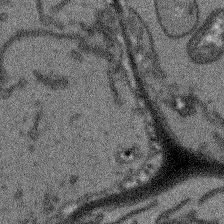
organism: Arabidopsis thaliana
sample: Root tip